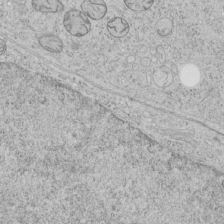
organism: Human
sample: Mitochondria in HCT116 cells